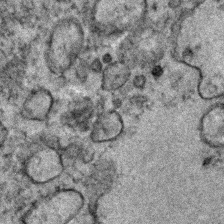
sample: Trachea